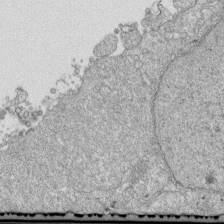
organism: Human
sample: HeLa cell HIV synapse